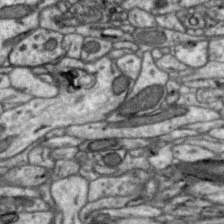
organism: Zebra finch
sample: Brain